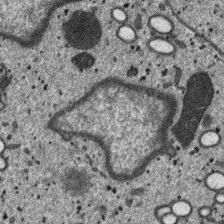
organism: Human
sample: Lung epithelial cells infected with SARS-CoV-2